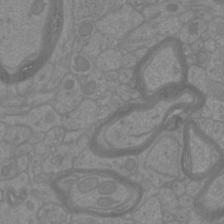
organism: Mouse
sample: Cortical neurons